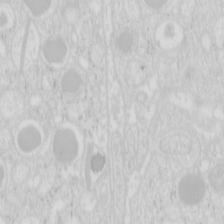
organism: Mouse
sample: Pancreas